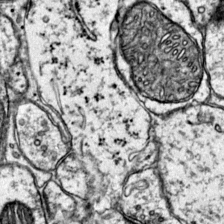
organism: Mouse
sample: Primary visual cortex